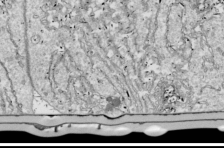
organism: Drosophila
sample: Cell division; meiosis; drosophila spermatocytes